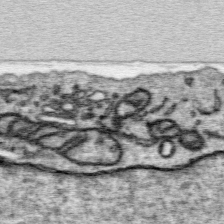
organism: Human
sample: HeLa cells